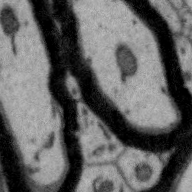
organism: Zebra finch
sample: Brain